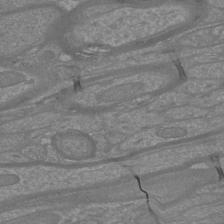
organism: Mouse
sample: Cortical neurons